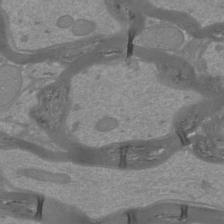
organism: Mouse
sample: Cortical neurons